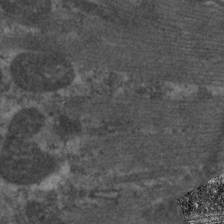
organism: C. elegans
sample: Pharynx